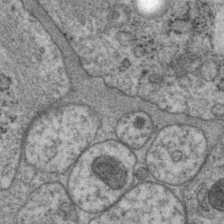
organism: P. pacificus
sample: Pharynx